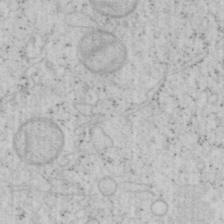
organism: Human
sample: HeLa cells